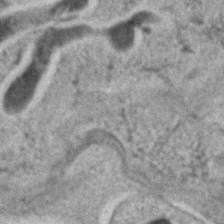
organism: C. elegans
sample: C. elegans embryo